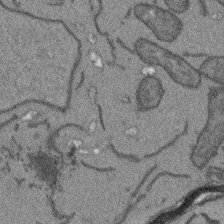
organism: Arabidopsis thaliana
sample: Root tip